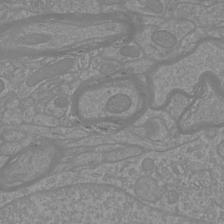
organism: Mouse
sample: Cortical neurons